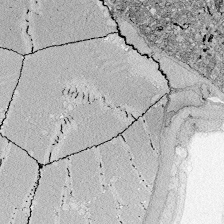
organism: Zebrafish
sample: Whole-Brain